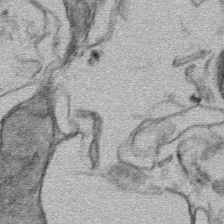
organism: Mouse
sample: Mouse hepatocytes